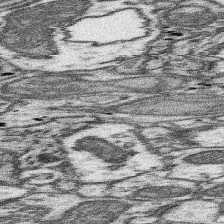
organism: Mouse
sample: Somatosensory cortex neuropil